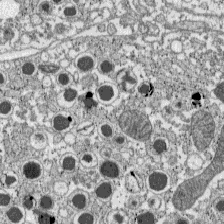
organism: C57BL Mouse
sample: Pancreatic islet